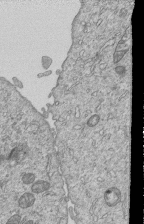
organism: Human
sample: MDA-MB-231 cells